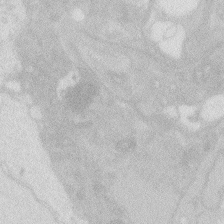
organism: Zebrafish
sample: Macrophage